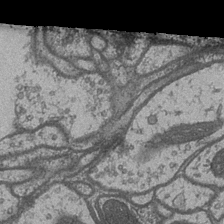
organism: Drosophila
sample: Optic medulla